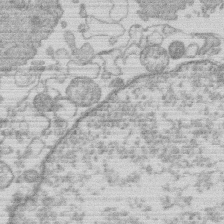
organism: Human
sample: Macrophage cells